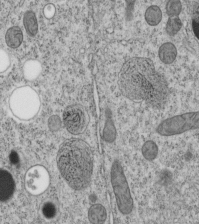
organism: C. elegans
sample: C. elegans embryo early stage